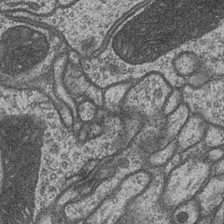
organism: Drosophila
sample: Optic medulla